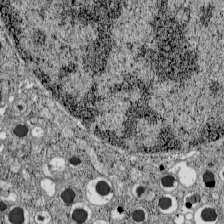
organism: C57BL Mouse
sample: Pancreatic islet